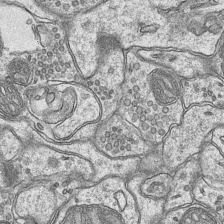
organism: Mouse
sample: CA1 Hippocampus